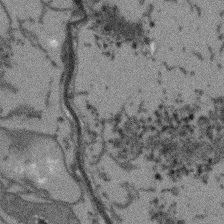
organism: Arabidopsis thaliana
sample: Root tip